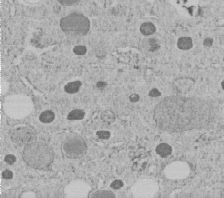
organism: C. elegans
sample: C. elegans embryo early stage